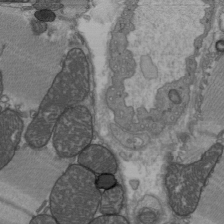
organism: C57BL Mouse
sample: Heart